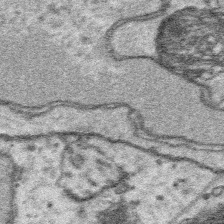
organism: Platynereis dumerilii